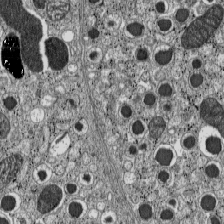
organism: C57BL Mouse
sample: Pancreatic islet